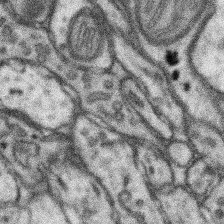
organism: Mouse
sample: Somatosensory cortex neuropil